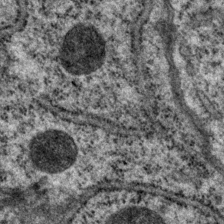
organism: P. pacificus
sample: Pharynx